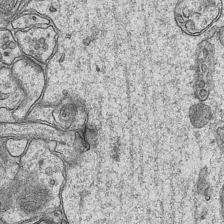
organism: Mouse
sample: CA1 Hippocampus